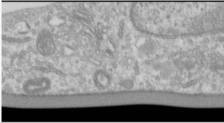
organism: Human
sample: Cilia; basal body in RPE cells